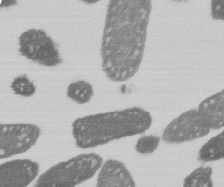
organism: E. coli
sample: Bacterial nucleoid